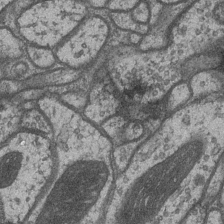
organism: Drosophila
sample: Optic medulla